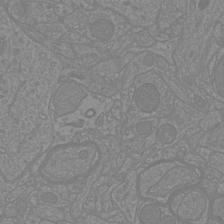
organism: Mouse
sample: Cortical neurons